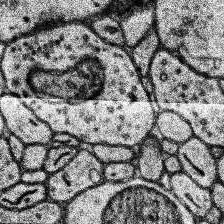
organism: Human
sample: Temporal Lobe